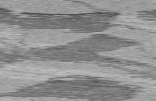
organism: C57BL Mouse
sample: Heart